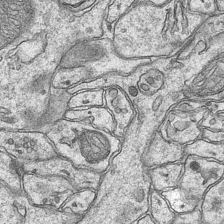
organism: Mouse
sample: CA1 Hippocampus